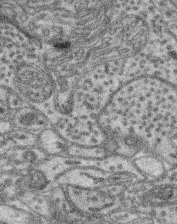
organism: Mouse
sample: Retina